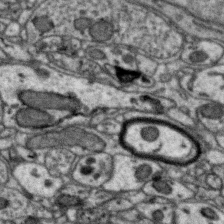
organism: Zebra finch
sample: Brain